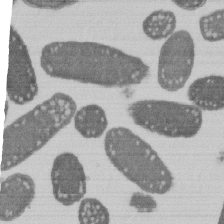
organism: E. coli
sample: Bacterial nucleoid